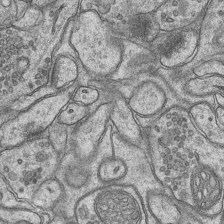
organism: Mouse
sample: CA1 Hippocampus